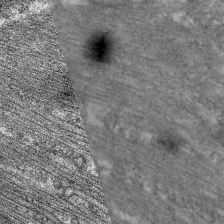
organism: C. elegans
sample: Pharynx